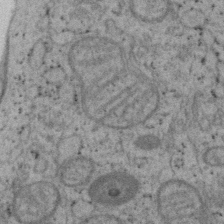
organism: Human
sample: HeLa cells